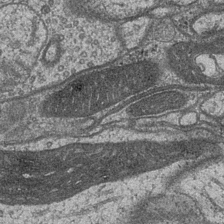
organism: Drosophila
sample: Optic medulla